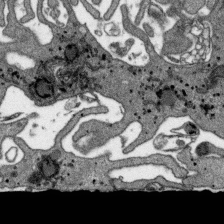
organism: Human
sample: Lung epithelial cells, uninfected (mock) control